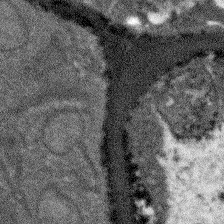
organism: Arabidopsis thaliana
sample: Root tip